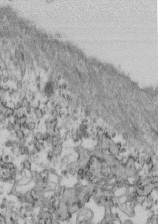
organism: Mouse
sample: Cilia; retinal pigment epithelium